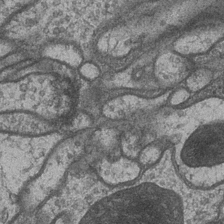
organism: Drosophila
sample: Optic medulla